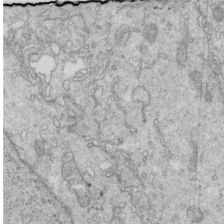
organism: Mouse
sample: Multiciliated cells